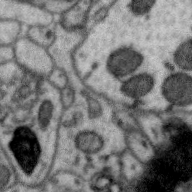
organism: Zebra finch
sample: Brain